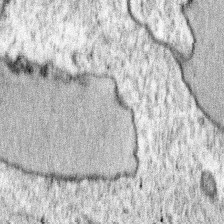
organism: Human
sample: HeLa cells